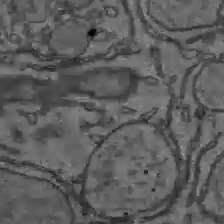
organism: C57BL Mouse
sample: Liver